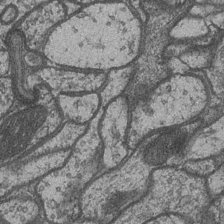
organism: Drosophila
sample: Optic medulla